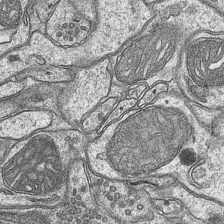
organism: Mouse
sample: CA1 Hippocampus